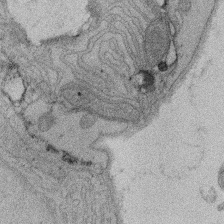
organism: Rat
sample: Salivary granule